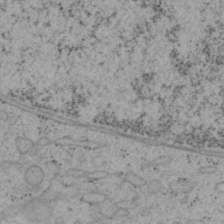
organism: Human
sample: HeLa cells